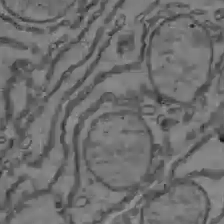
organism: C57BL Mouse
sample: Liver